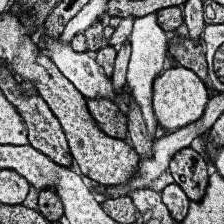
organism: Human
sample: Temporal Lobe